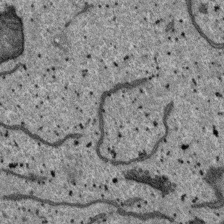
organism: Human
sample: Lung epithelial cells, uninfected (mock) control